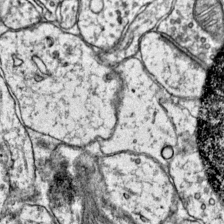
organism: Mouse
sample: Primary visual cortex